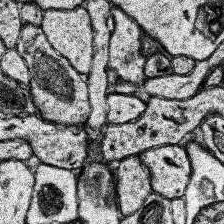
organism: Human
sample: Temporal Lobe